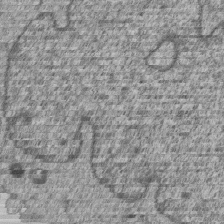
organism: Human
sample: MDA-MB-231 cells